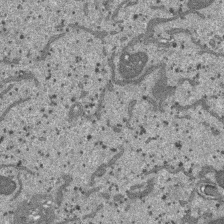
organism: Human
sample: Lung epithelial cells infected with SARS-CoV-2